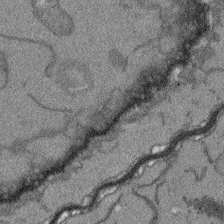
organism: Arabidopsis thaliana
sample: Root tip